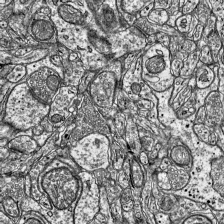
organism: Mouse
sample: Visual Cortex